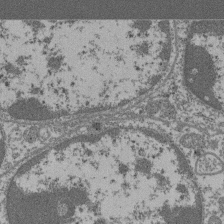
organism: Mouse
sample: Glomerulus